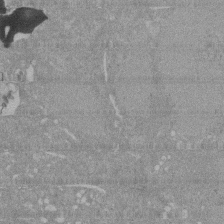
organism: Mouse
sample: ED-1 cell nuclei; centrioles